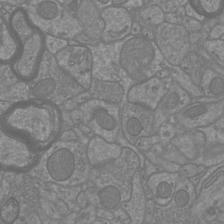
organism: Mouse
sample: Cortical neurons